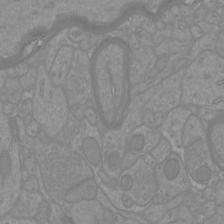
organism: Mouse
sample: Cortical neurons